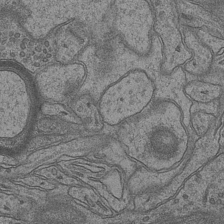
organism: Mouse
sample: CA1 Hippocampus